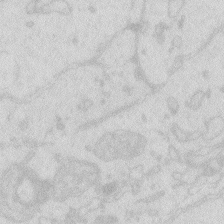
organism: Zebrafish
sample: Macrophage